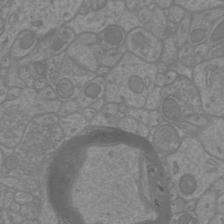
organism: Mouse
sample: Cortical neurons